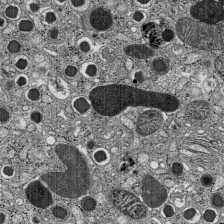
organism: C57BL Mouse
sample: Pancreatic islet